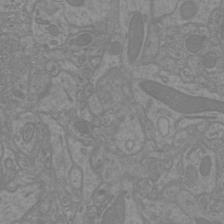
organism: Mouse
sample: Cortical neurons